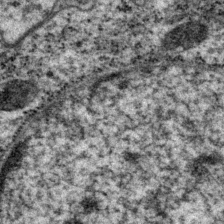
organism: P. pacificus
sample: Pharynx